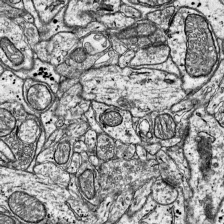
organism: Mouse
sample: Visual Cortex